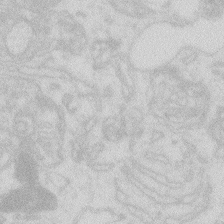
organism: Zebrafish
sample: Macrophage